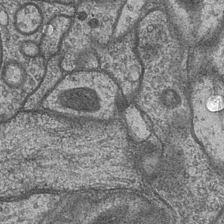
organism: Drosophila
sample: Optic medulla